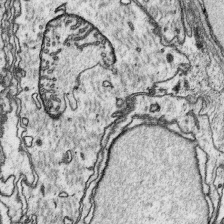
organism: Platynereis dumerilii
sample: Parapodia